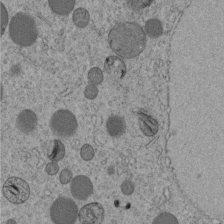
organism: C. elegans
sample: C. elegans embryo early stage